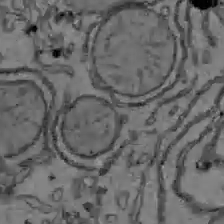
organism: C57BL Mouse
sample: Liver